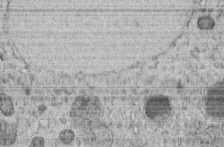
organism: C. elegans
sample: C. elegans embryo early stage